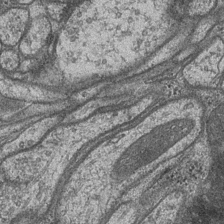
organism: Drosophila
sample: Optic medulla